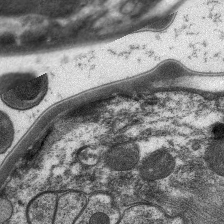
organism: C. elegans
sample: Pharynx